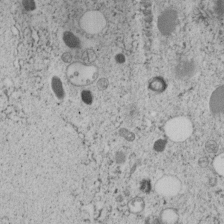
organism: C. elegans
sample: C. elegans embryo early stage